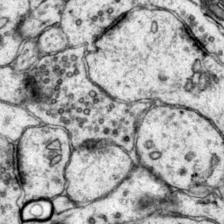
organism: Mouse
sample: Primary visual cortex